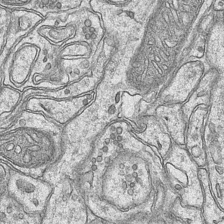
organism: Mouse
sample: CA1 Hippocampus